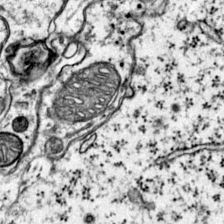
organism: Mouse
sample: Primary visual cortex